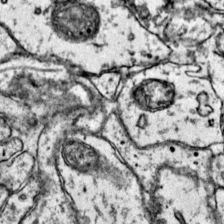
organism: Mouse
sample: Primary visual cortex